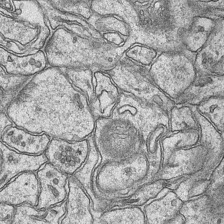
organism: Mouse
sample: CA1 Hippocampus